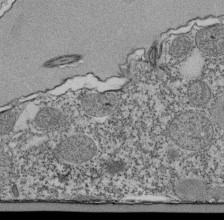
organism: Tetrahymena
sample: Cilia in tetrahymena